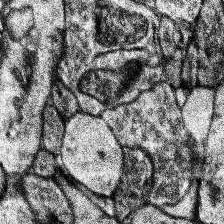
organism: Human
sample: Temporal Lobe